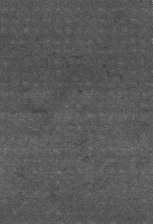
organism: Mouse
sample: Centriole in ependymal cells